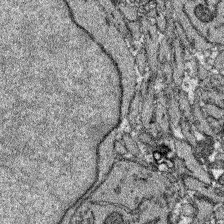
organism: Zebrafish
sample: Larval olfactory bulb